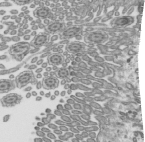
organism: Mouse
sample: Mouse epididymis efferent ductule cilia